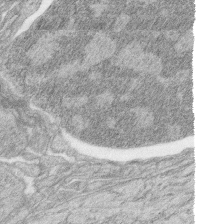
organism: Zebrafish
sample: synaptic ribbons in rod cells and cone cells